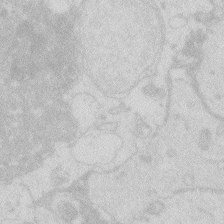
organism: Zebrafish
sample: Macrophage